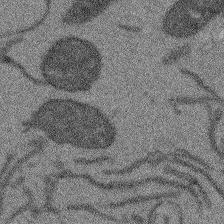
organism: Arabidopsis thaliana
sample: Root tip